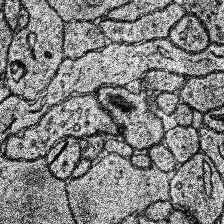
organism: Human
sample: Temporal Lobe